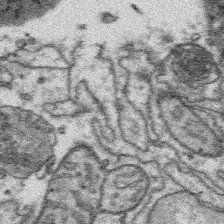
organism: Platynereis dumerilii